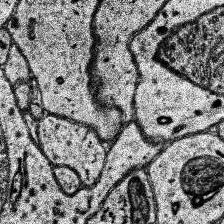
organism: Human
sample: Temporal Lobe